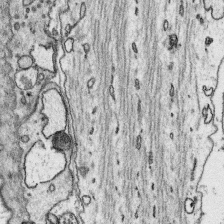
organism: Platynereis dumerilii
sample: Parapodia